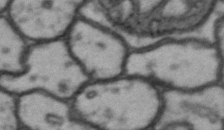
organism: Drosophila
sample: Brain